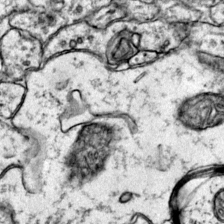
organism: Mouse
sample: Primary visual cortex